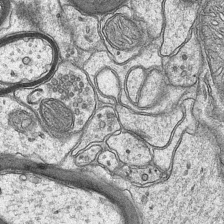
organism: Mouse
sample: CA1 Hippocampus